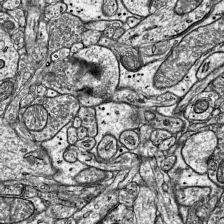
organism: Mouse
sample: Visual Cortex